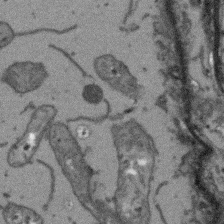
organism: Arabidopsis thaliana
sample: Root tip